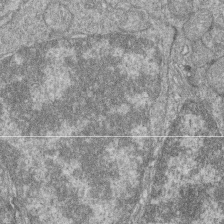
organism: Zebrafish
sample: Cilia; retinal pigment epithelium